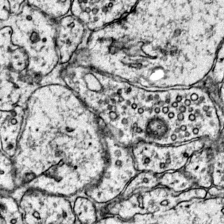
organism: Mouse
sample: Primary visual cortex